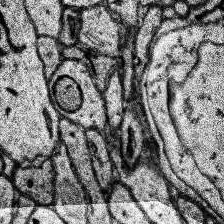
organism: Human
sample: Temporal Lobe